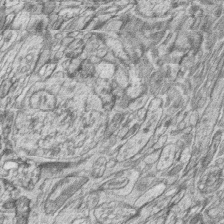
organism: Zebrafish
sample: synaptic ribbons in rod cells and cone cells